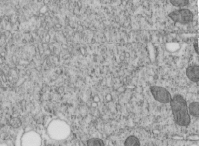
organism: C. elegans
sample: C. elegans embryo early stage